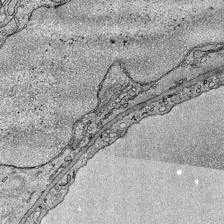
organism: Mouse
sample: Visual Cortex